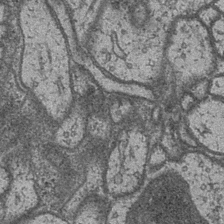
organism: Drosophila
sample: Optic medulla